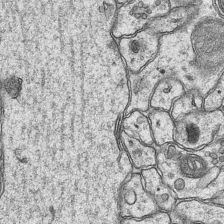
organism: Mouse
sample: CA1 Hippocampus